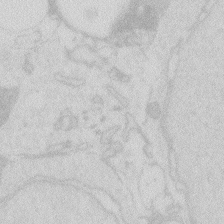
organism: Zebrafish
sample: Macrophage